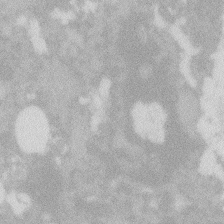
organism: Zebrafish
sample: Macrophage